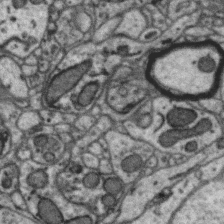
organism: Zebra finch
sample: Brain